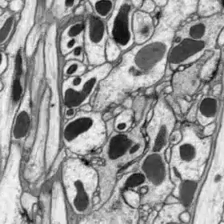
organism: Drosophila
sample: Optic lobe